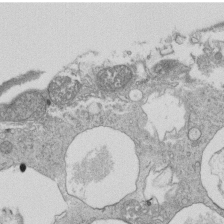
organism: Tetrahymena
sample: Cilia in tetrahymena